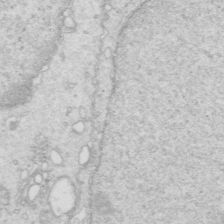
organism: Mouse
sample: Multiciliated cells